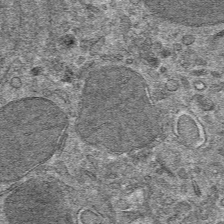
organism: Mouse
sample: Mouse hepatocytes